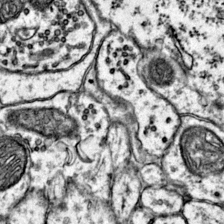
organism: Mouse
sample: Primary visual cortex